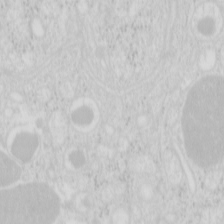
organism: Mouse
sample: Pancreas